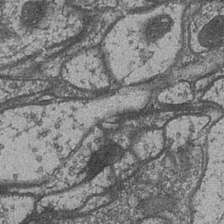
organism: Drosophila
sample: Optic medulla